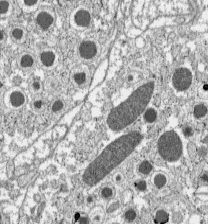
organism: C57BL Mouse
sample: Pancreatic islet